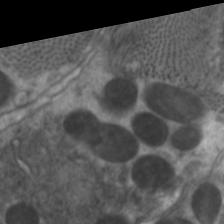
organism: C. elegans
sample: Pharynx